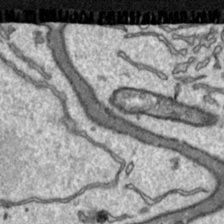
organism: Toxoplasma gondii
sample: Parasites in a vacuole inside a host cell